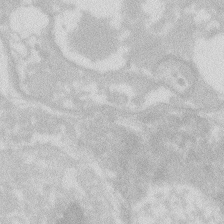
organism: Zebrafish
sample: Macrophage